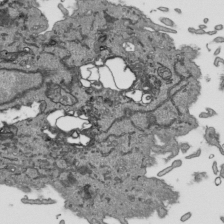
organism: Human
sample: Mitochondria in HCT116 cells